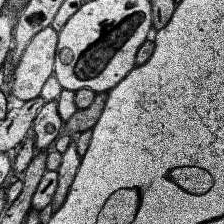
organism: Human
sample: Temporal Lobe